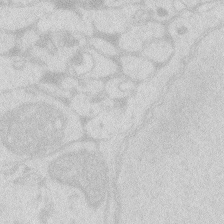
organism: Zebrafish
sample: Macrophage